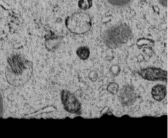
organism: C. elegans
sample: C. elegans embryo early stage